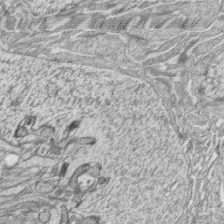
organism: Zebrafish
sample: synaptic ribbons in rod cells and cone cells